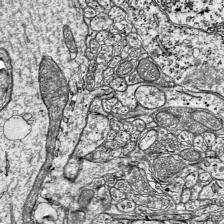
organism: Mouse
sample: Visual Cortex